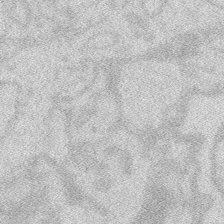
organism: Zebrafish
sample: Macrophage